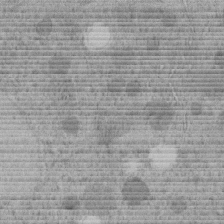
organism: C. elegans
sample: C. elegans embryo early stage